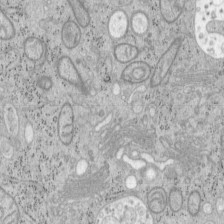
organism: Mouse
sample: OT-I killer T cells with ID8 ovarian cancer cells